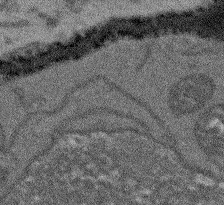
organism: Arabidopsis thaliana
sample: Root tip